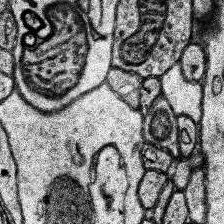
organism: Human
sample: Temporal Lobe